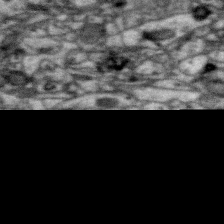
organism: Zebra finch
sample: Brain